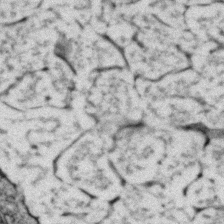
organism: Zebrafish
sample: Zebrafish embryo